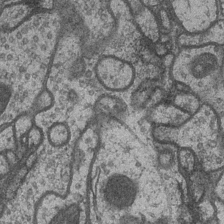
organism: Drosophila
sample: Optic medulla